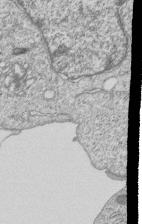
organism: Human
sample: MDA-MB-231 cells